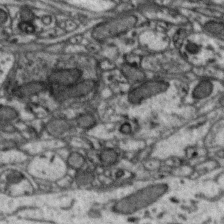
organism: Zebra finch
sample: Brain